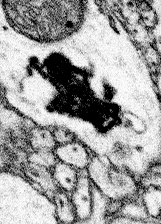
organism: Mouse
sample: Somatosensory cortex neuropil